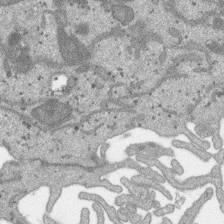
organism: Human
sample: Lung epithelial cells infected with SARS-CoV-2